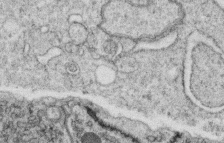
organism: C. elegans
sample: C. elegans oocyte; sperm cells